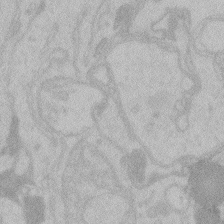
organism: Zebrafish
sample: Macrophage infected with Toxoplasma gondii